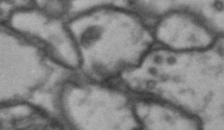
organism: Drosophila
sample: Brain